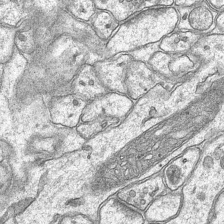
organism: Mouse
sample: CA1 Hippocampus